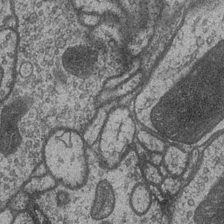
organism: Drosophila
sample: Optic medulla